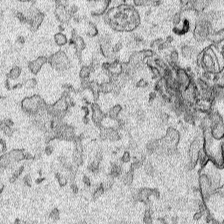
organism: Human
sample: Mitochondria in HCT116 cells